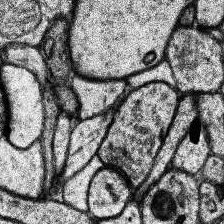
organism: Human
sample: Temporal Lobe